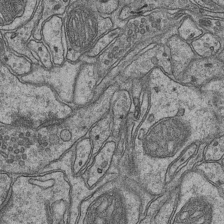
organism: Mouse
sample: CA1 Hippocampus